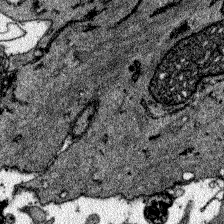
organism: Zebrafish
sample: Larval olfactory bulb